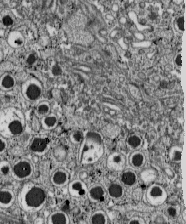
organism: C57BL Mouse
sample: Pancreatic islet